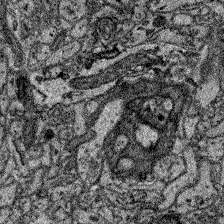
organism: Zebrafish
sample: Larval olfactory bulb